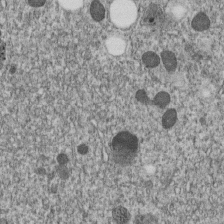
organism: C. elegans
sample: C. elegans embryo early stage